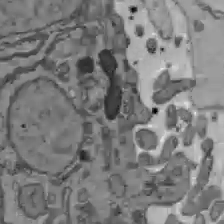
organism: C57BL Mouse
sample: Liver